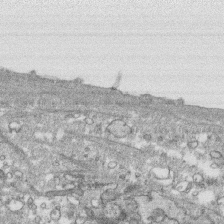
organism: Human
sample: CRL-1474